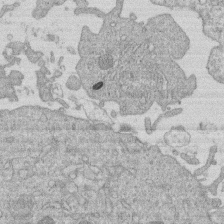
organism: Human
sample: Macrophage cells